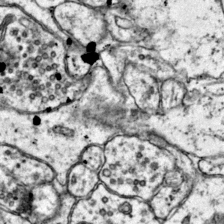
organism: Mouse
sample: Primary visual cortex